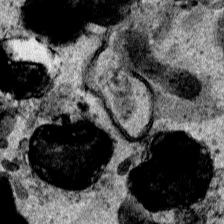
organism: Human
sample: Mitochondria in HCT116 cells